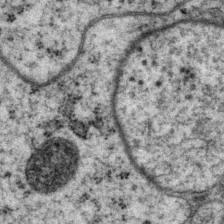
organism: P. pacificus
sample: Pharynx